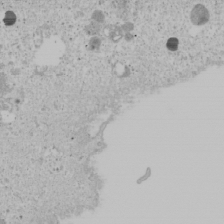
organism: Human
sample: Mitochondria in U2OS cells